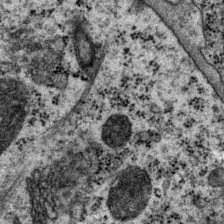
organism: P. pacificus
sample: Pharynx